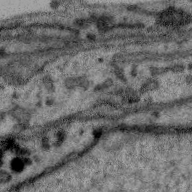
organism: Zebra finch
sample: Brain